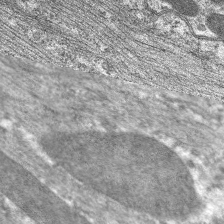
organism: C. elegans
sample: Pharynx